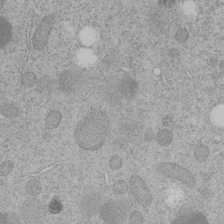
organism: C. elegans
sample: C. elegans embryo early stage